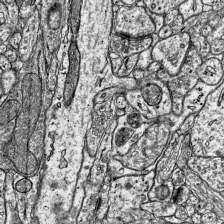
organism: Mouse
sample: Visual Cortex